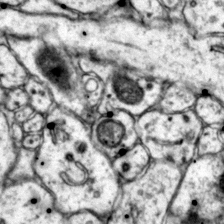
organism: Mouse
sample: Primary visual cortex